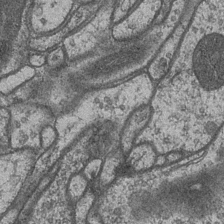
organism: Drosophila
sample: Optic medulla